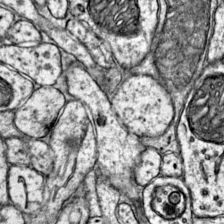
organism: Mouse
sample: Primary visual cortex